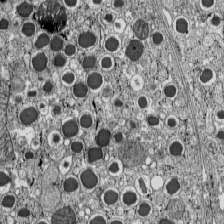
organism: C57BL Mouse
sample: Pancreatic islet